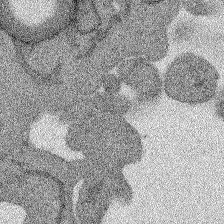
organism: Human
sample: HeLa cells